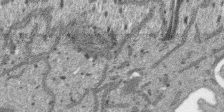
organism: Human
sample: Lung epithelial cells infected with SARS-CoV-2